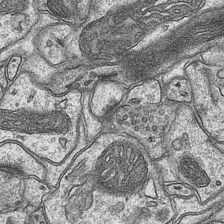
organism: Mouse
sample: CA1 Hippocampus